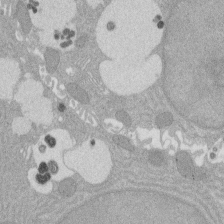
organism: Rat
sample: Salivary granule